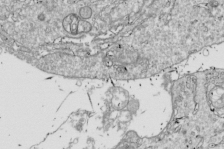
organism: Drosophila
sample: Cell division; meiosis; drosophila spermatocytes